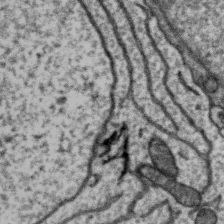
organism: Zebra finch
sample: Brain